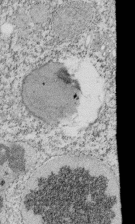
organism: Tetrahymena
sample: Cilia in tetrahymena